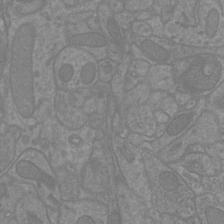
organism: Mouse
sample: Cortical neurons